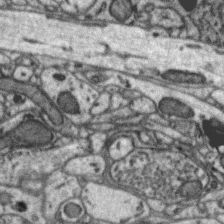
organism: Zebra finch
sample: Brain